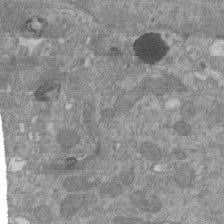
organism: Mouse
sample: ED-1 cell nuclei; centrioles